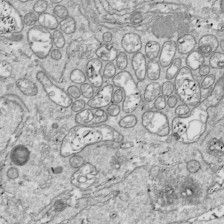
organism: Drosophila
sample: Cell division; meiosis; drosophila spermatocytes